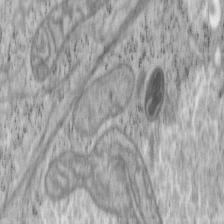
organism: Human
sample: HeLa cells